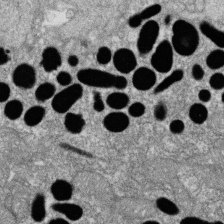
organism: Zebrafish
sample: Cilia; retinal pigment epithelium